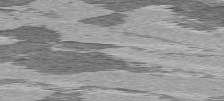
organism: C57BL Mouse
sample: Heart